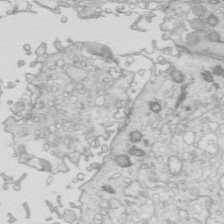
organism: Mouse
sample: Multiciliated cells